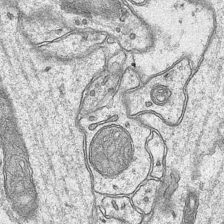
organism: Mouse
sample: CA1 Hippocampus